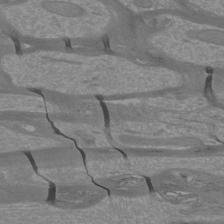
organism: Mouse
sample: Cortical neurons